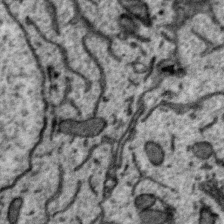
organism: Zebra finch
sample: Brain